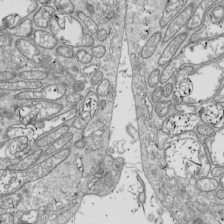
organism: Drosophila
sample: Cell division; meiosis; drosophila spermatocytes